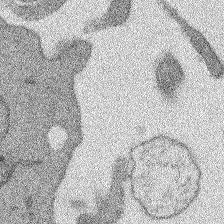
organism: Human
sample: HeLa cells